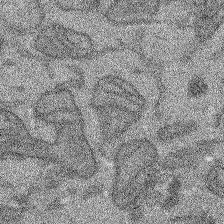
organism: Human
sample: HeLa cells